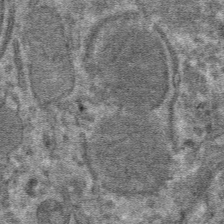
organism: Mouse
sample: Mouse hepatocytes